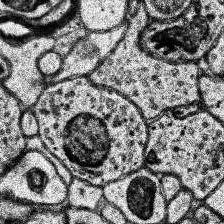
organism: Human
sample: Temporal Lobe